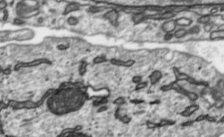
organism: Toxoplasma gondii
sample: Parasites in a vacuole inside a host cell